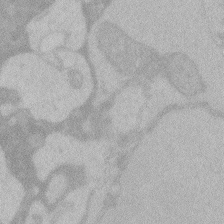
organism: Zebrafish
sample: Macrophage infected with Toxoplasma gondii